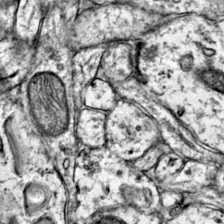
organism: Mouse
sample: Primary visual cortex